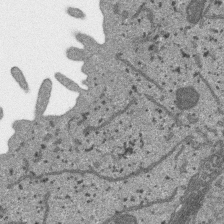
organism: Human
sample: Lung epithelial cells infected with SARS-CoV-2